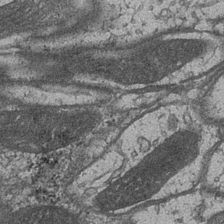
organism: Drosophila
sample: Optic medulla